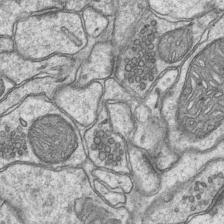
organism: Mouse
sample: CA1 Hippocampus